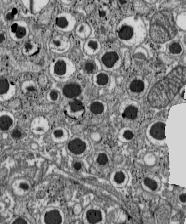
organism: C57BL Mouse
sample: Pancreatic islet